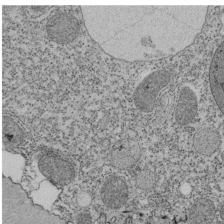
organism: Tetrahymena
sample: Cilia in tetrahymena